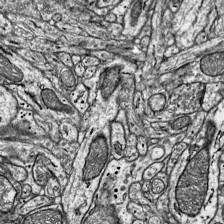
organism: Mouse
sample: Visual Cortex